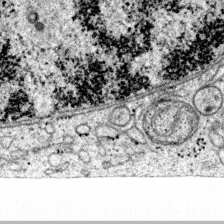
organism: Human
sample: HeLa cells